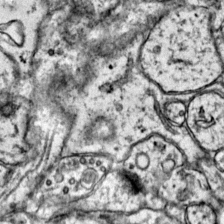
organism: Mouse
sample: Primary visual cortex